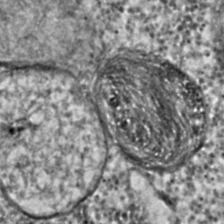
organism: C. elegans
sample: C. elegans embryo